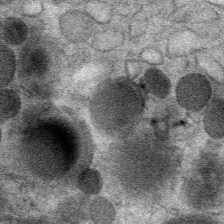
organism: Mouse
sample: Mouse Salivary gland